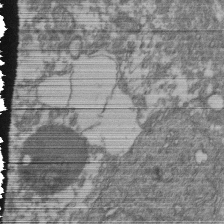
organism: Human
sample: Retinal organoid Rod and Cone cells